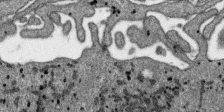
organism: Human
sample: Lung epithelial cells, uninfected (mock) control